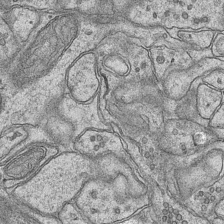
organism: Mouse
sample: CA1 Hippocampus